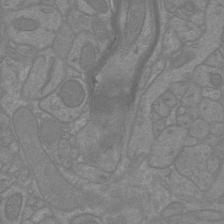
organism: Mouse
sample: Cortical neurons